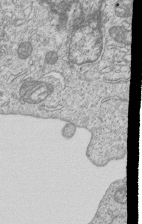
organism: Human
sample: MDA-MB-231 cells